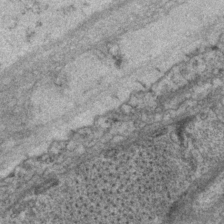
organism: P. pacificus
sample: Pharynx